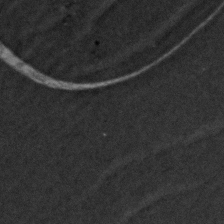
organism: Zebrafish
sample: Zebrafish embryo